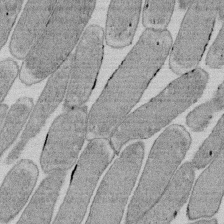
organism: E. coli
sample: Bacterial nucleoid